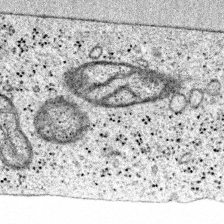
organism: Human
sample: HeLa cells